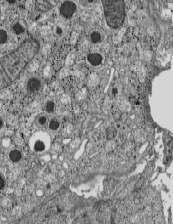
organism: C57BL Mouse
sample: Pancreatic islet